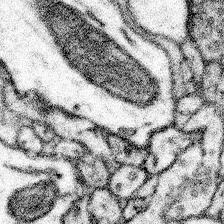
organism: Mouse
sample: Somatosensory cortex neuropil